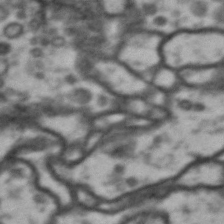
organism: Drosophila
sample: Brain